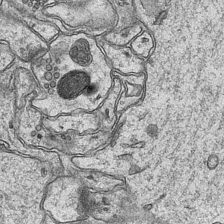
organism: Mouse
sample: CA1 Hippocampus